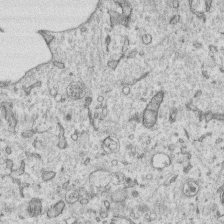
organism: Human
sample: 1205lu cells